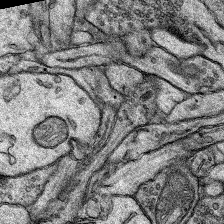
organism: Rat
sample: Hippocampus